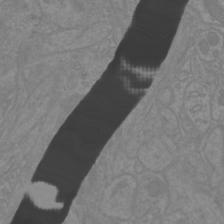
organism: Mouse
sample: Cortical neurons